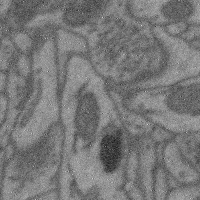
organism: Mouse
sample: Cerebral cortex